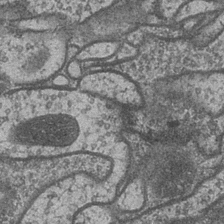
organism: Drosophila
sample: Optic medulla